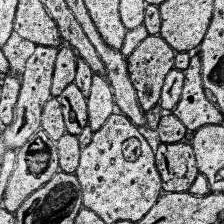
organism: Human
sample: Temporal Lobe